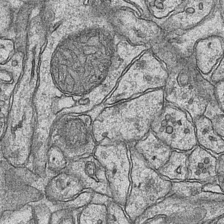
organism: Mouse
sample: CA1 Hippocampus